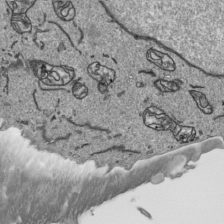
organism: Human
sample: Mitochondria in HCT116 cells